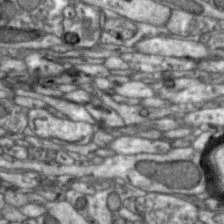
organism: Zebra finch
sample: Brain